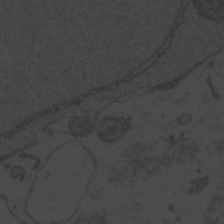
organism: Zebrafish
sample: Macrophage infected with Toxoplasma gondii